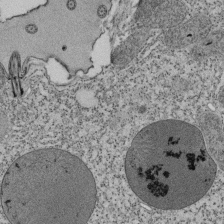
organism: Tetrahymena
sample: Cilia in tetrahymena